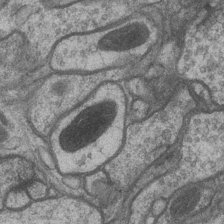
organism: Drosophila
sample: Optic medulla